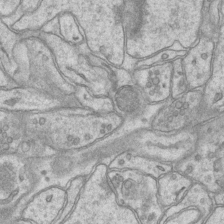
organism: Mouse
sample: CA1 Hippocampus